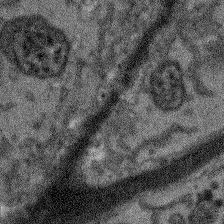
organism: Arabidopsis thaliana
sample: Root tip